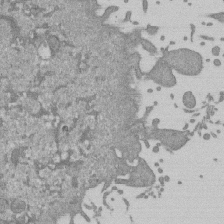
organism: Mouse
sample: ED-1 cell nuclei; centrioles